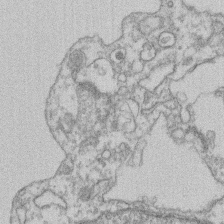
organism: Mouse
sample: T cell stromal cell synapse